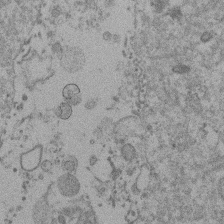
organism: Mouse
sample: Dividing mouse embryo 1 cell stage